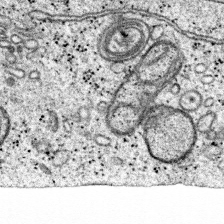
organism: Human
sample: HeLa cells